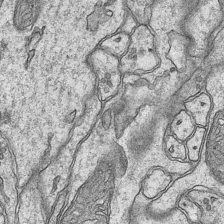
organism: Mouse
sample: CA1 Hippocampus